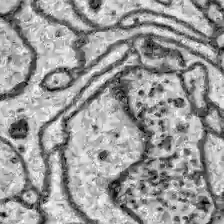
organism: Zebrafish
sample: Brain